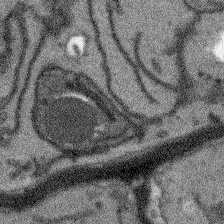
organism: Arabidopsis thaliana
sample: Root tip